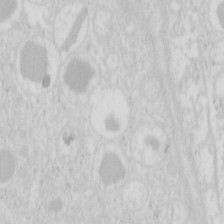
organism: Mouse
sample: Pancreas